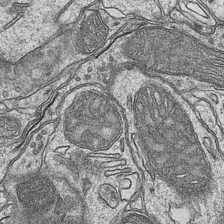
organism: Mouse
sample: CA1 Hippocampus